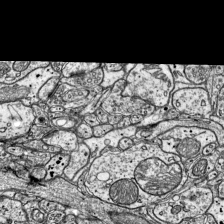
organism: Mouse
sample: Visual Cortex